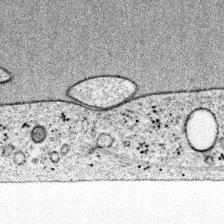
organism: Human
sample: HeLa cells